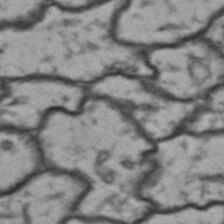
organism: Drosophila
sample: Brain